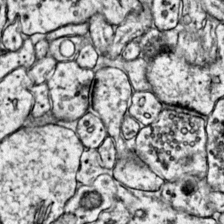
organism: Mouse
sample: Primary visual cortex